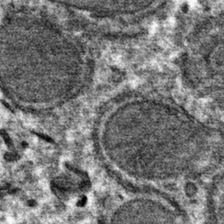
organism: Mouse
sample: Mouse hepatocytes